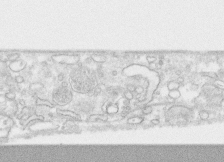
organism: Human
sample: CRL-1474